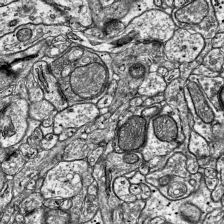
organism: Mouse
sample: Visual Cortex